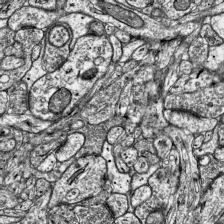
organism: Mouse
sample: Visual Cortex